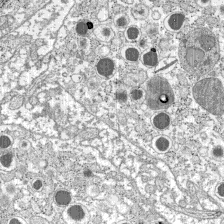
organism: C57BL Mouse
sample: Pancreatic islet